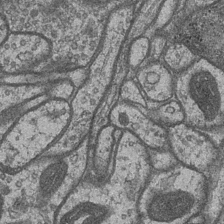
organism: Drosophila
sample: Optic medulla